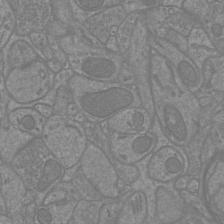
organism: Mouse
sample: Cortical neurons